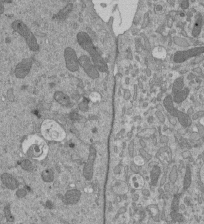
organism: Mouse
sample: ED-1 cell nuclei; centrioles